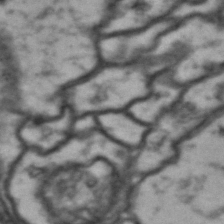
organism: Drosophila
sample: Brain